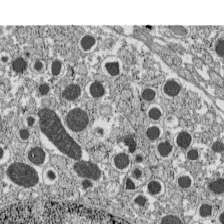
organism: C57BL Mouse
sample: Pancreatic islet